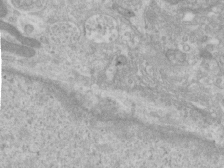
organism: Human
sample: Centriole in RPE cells